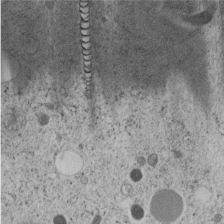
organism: C. elegans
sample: C. elegans embryo early stage